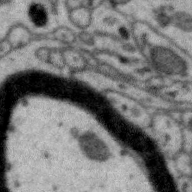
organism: Zebra finch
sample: Brain